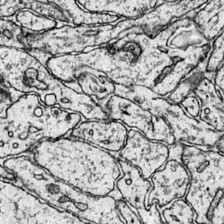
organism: Mouse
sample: Primary visual cortex